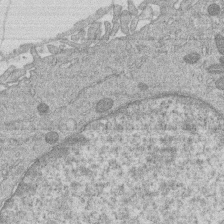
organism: Human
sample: Macrophage cells